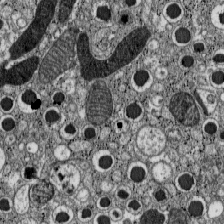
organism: C57BL Mouse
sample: Pancreatic islet